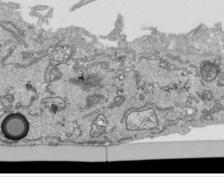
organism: Human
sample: Mitochondria in HCT116 cells